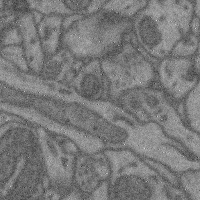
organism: Mouse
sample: Cerebral cortex